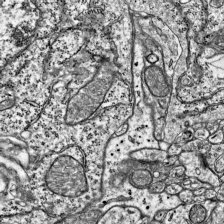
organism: Mouse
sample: Visual Cortex